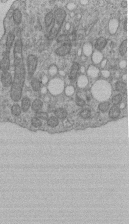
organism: Human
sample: Retinal organoid Rod and Cone cells